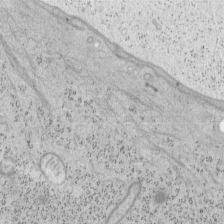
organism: Mouse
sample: OT-I killer T cells with ID8 ovarian cancer cells